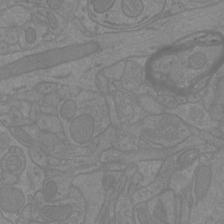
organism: Mouse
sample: Cortical neurons